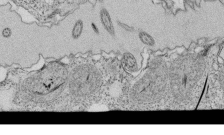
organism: Tetrahymena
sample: Cilia in tetrahymena